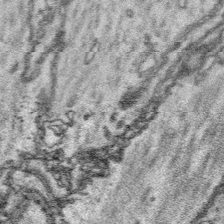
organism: Platynereis dumerilii